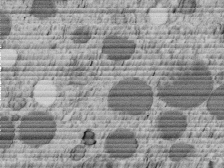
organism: C. elegans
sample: C. elegans embryo early stage